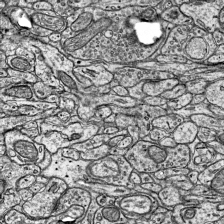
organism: Mouse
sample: Visual Cortex